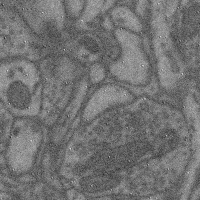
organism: Mouse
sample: Cerebral cortex